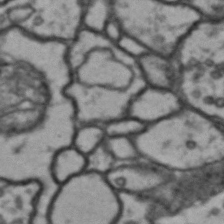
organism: Drosophila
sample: Brain